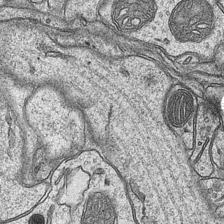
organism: Mouse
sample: CA1 Hippocampus